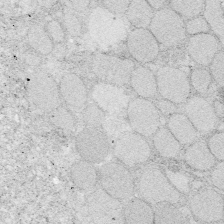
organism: Zebrafish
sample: Whole-Brain